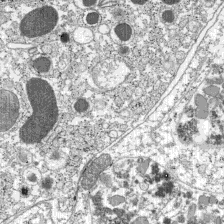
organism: C57BL Mouse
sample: Pancreatic islet